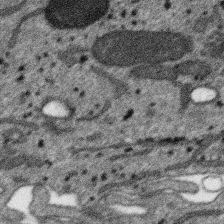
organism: Human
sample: Lung epithelial cells infected with SARS-CoV-2